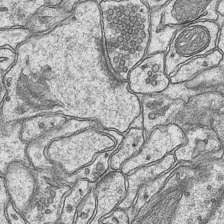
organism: Mouse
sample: CA1 Hippocampus